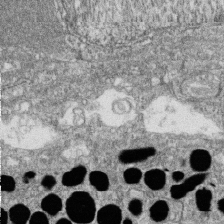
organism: Zebrafish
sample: Cilia; retinal pigment epithelium